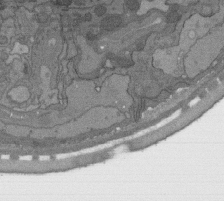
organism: C. elegans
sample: AFD neurons C. elegans